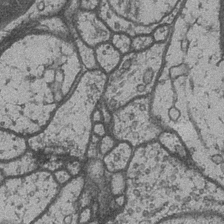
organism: Drosophila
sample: Optic medulla